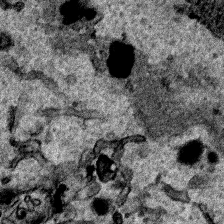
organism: Human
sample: Mitochondria in HCT116 cells